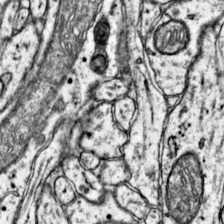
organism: Mouse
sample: Primary visual cortex